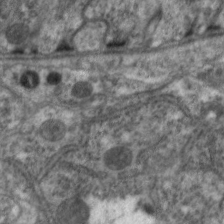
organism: C. elegans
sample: Pharynx